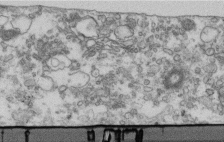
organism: Human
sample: Centriole in fibroblast cells